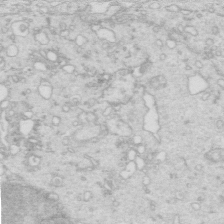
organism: Mouse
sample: Multiciliated cells